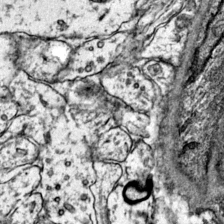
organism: Mouse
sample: Primary visual cortex